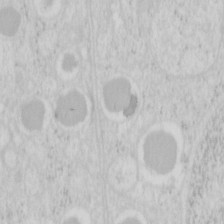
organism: Mouse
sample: Pancreas